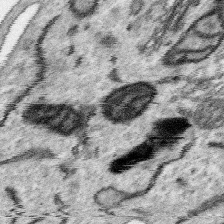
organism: Human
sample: HeLa cells